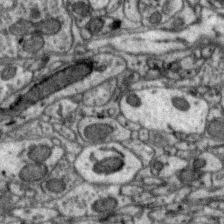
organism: Zebra finch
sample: Brain